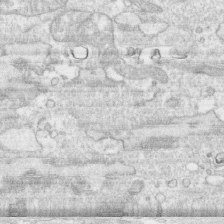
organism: Human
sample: CRL-1474